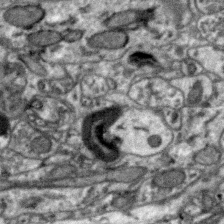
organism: Zebra finch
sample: Brain